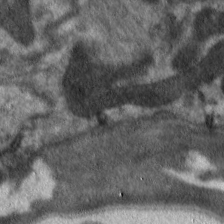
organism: C. elegans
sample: Pharynx